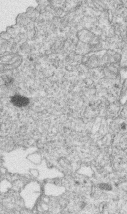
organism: Human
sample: HeLa cell HIV synapse